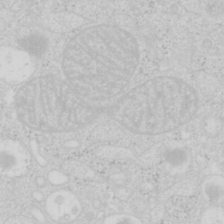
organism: Mouse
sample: Pancreas